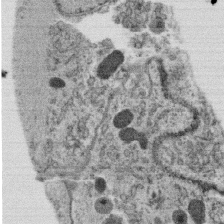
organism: C. elegans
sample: C. elegans oocyte; sperm cells